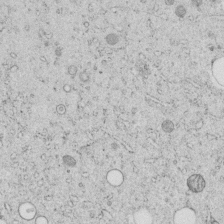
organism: C. elegans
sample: C. elegans embryo early stage